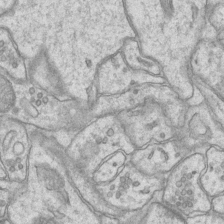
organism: Mouse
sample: CA1 Hippocampus